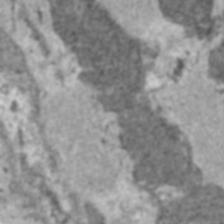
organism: C57BL Mouse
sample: Heart